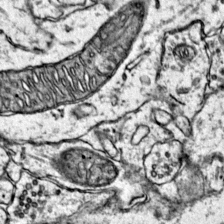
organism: Mouse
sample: Primary visual cortex